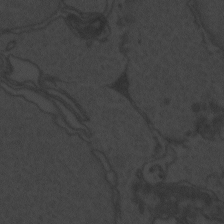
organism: Zebrafish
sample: Macrophage infected with Toxoplasma gondii